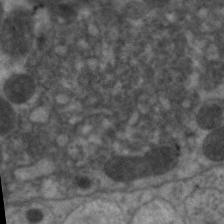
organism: C. elegans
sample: Pharynx